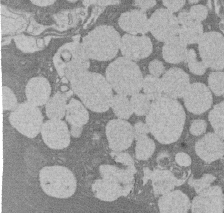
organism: Rat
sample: Salivary granule